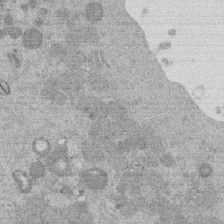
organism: Mouse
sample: Dividing mouse embryo 1 cell stage